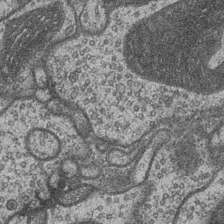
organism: Drosophila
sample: Optic medulla